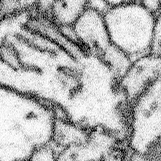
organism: Mouse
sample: Somatosensory cortex neuropil